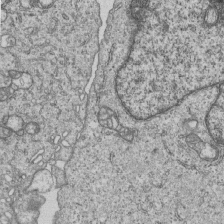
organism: Human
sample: MDA-MB-231 cells